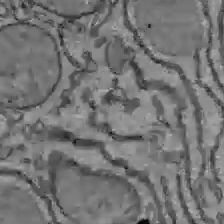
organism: C57BL Mouse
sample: Liver